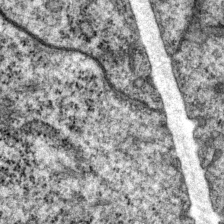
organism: P. pacificus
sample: Pharynx